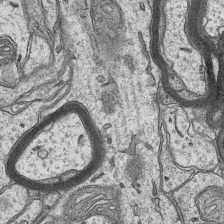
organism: Mouse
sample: CA1 Hippocampus